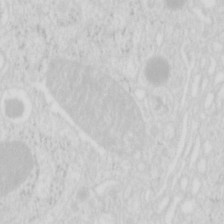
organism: Mouse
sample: Pancreas